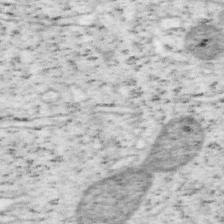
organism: Mouse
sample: OT-I killer T cells with ID8 ovarian cancer cells